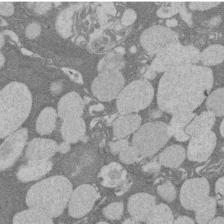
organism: Rat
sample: Salivary granule